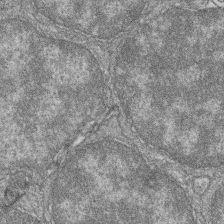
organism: Zebrafish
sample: Cilia; retinal pigment epithelium